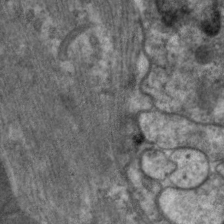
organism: C. elegans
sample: Pharynx